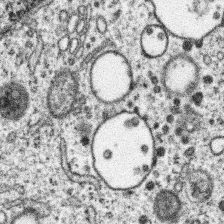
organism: Human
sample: HeLa cells